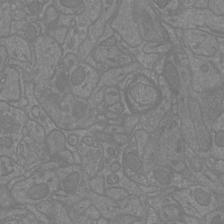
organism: Mouse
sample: Cortical neurons